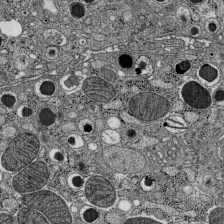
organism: C57BL Mouse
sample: Pancreatic islet